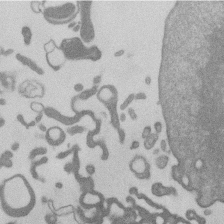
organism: Mouse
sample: Dividing mouse embryo 1 cell stage